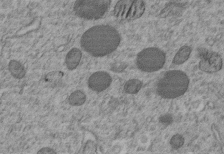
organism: C. elegans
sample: C. elegans embryo early stage